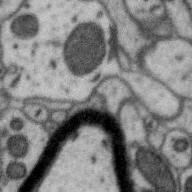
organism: Zebra finch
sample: Brain